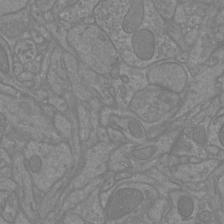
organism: Mouse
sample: Cortical neurons